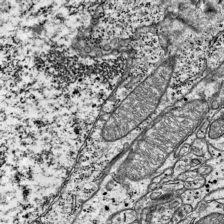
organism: Mouse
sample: Visual Cortex